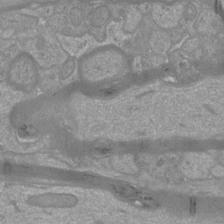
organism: Mouse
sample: Cortical neurons